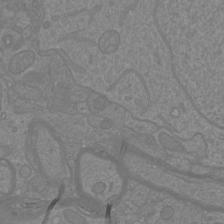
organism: Mouse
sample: Cortical neurons